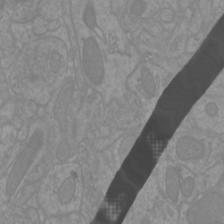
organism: Mouse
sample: Cortical neurons